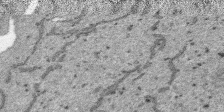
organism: Human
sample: Lung epithelial cells infected with SARS-CoV-2